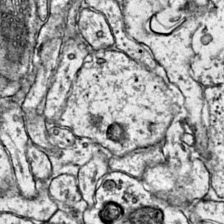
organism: Mouse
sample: Primary visual cortex